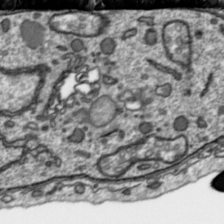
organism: Toxoplasma gondii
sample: Parasites in a vacuole inside a host cell